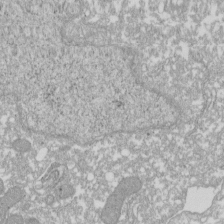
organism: Xenopus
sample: Cilia; centrioles in frog embryo cells